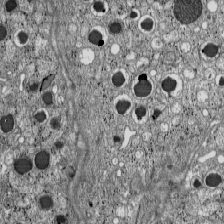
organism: C57BL Mouse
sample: Pancreatic islet